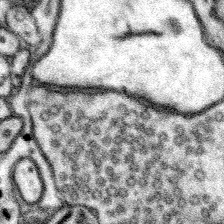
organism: Mouse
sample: Somatosensory cortex neuropil